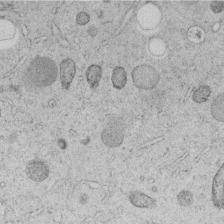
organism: C. elegans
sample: C. elegans embryo early stage